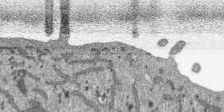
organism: Human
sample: Lung epithelial cells infected with SARS-CoV-2